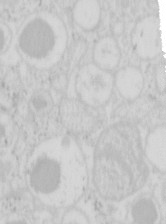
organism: Mouse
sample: Pancreas